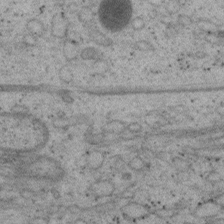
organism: Human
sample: HeLa cells